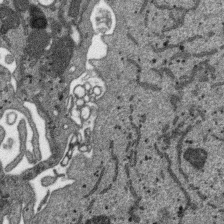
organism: Human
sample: Lung epithelial cells infected with SARS-CoV-2